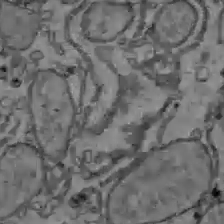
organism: C57BL Mouse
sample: Liver